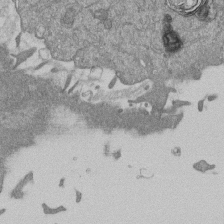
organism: Mouse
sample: ED-1 cell nuclei; centrioles